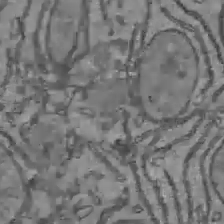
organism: C57BL Mouse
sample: Liver